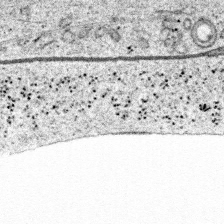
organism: Human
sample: HeLa cells